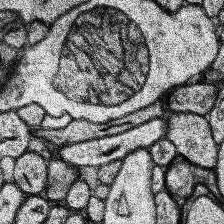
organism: Human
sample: Temporal Lobe